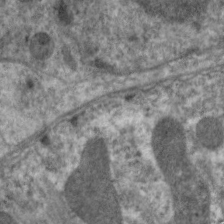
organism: C. elegans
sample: Pharynx